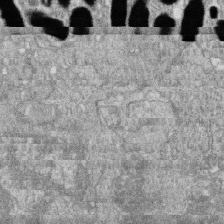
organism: Zebrafish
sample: Cilia; retinal pigment epithelium